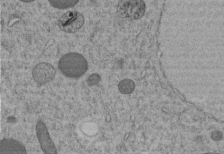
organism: C. elegans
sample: C. elegans embryo early stage